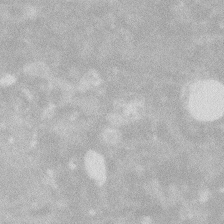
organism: Zebrafish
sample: Macrophage